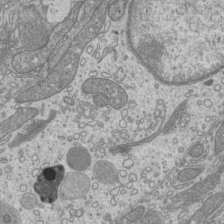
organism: Mouse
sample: Cilia; mouse epididymis